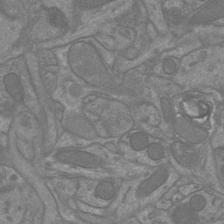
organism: Mouse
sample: Cortical neurons